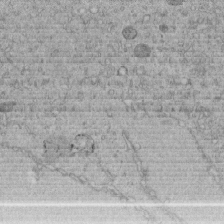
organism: C. elegans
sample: C. elegans embryo early stage